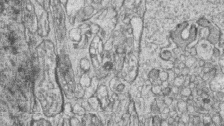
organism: Zebrafish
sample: synaptic ribbons in rod cells and cone cells